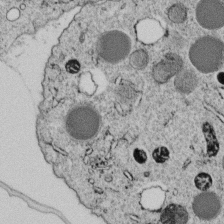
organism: C. elegans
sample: C. elegans embryo early stage